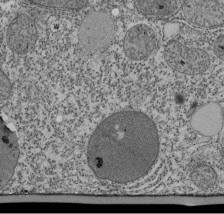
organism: Tetrahymena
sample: Cilia in tetrahymena